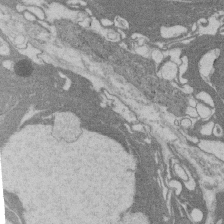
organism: Rat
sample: Salivary granule